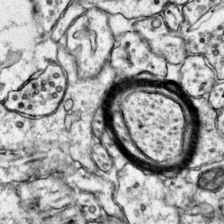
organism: Mouse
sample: Primary visual cortex